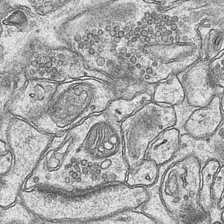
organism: Mouse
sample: CA1 Hippocampus